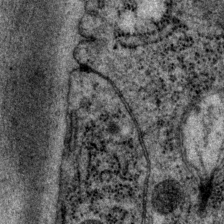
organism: P. pacificus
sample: Pharynx